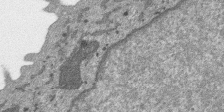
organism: Human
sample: Lung epithelial cells infected with SARS-CoV-2